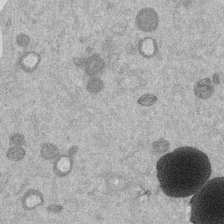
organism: Mouse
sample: Dividing mouse embryo 1 cell stage